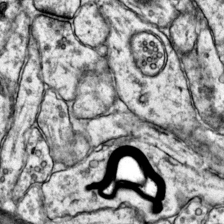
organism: Mouse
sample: Primary visual cortex